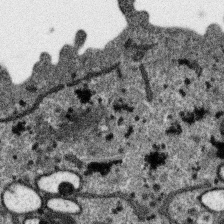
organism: Human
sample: Lung epithelial cells infected with SARS-CoV-2